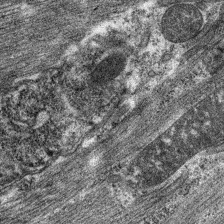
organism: C. elegans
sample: Pharynx